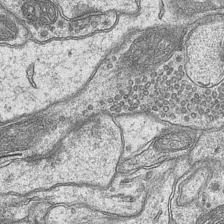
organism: Mouse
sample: CA1 Hippocampus